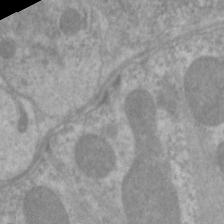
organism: C. elegans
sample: Pharynx